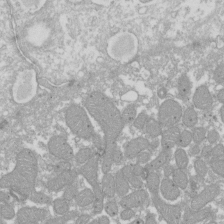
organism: Xenopus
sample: Cilia; centrioles in frog embryo cells